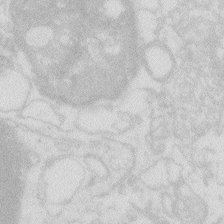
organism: Zebrafish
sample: Macrophage